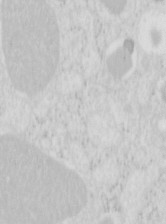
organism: Mouse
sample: Pancreas